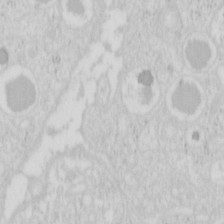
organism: Mouse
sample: Pancreas